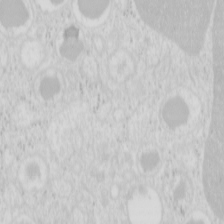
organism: Mouse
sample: Pancreas